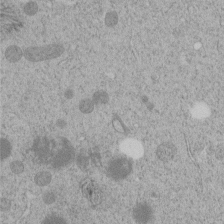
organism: C. elegans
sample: C. elegans embryo early stage